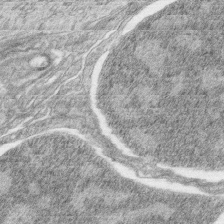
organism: Zebrafish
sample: synaptic ribbons in rod cells and cone cells